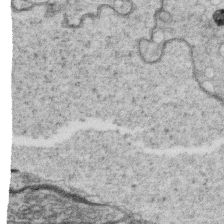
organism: C. elegans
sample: C. elegans oocyte; sperm cells